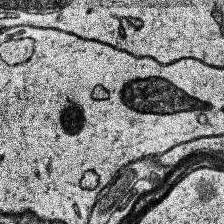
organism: Human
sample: Temporal Lobe